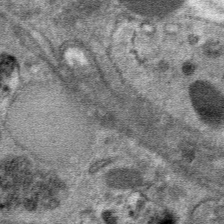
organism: Mouse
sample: Mouse hepatocytes